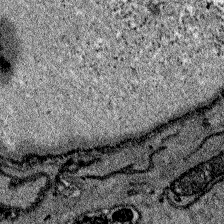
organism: Zebrafish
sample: Larval olfactory bulb